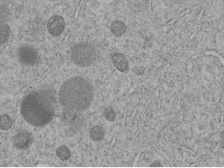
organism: C. elegans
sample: C. elegans embryo early stage